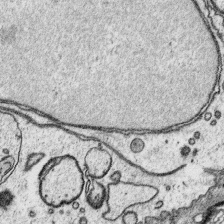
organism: Platynereis dumerilii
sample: Parapodia